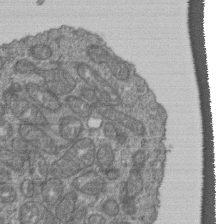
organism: Human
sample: Retinal organoid Rod and Cone cells